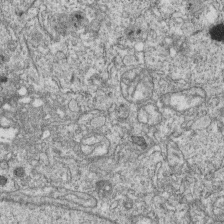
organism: Human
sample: HeLa cell HIV synapse